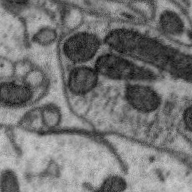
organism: Zebra finch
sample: Brain